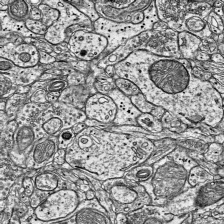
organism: Mouse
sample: Visual Cortex